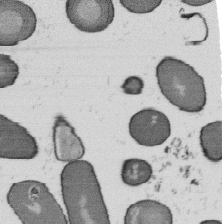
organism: B. subtilis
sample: Bacterial spore